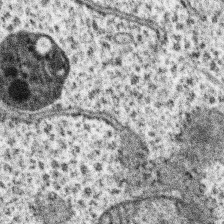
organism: Human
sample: HeLa cells